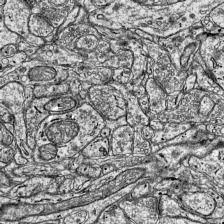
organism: Mouse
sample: Visual Cortex